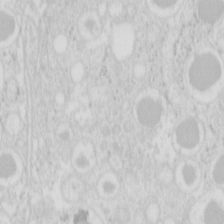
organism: Mouse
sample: Pancreas